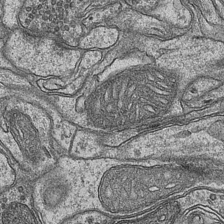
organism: Mouse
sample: CA1 Hippocampus